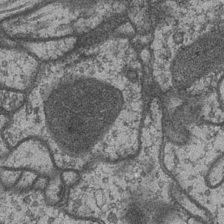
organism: Drosophila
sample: Optic medulla